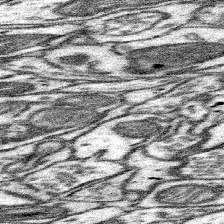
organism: Mouse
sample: Somatosensory cortex neuropil